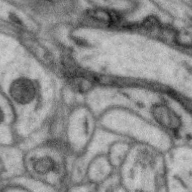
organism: Zebra finch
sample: Brain